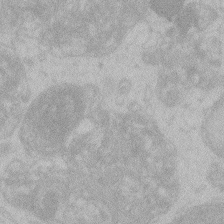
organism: Zebrafish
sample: Macrophage infected with Toxoplasma gondii